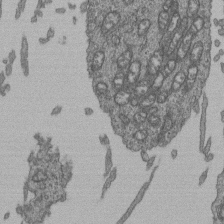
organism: Human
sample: Retinal organoid Rod and Cone cells